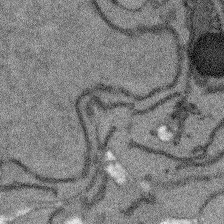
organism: Arabidopsis thaliana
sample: Root tip